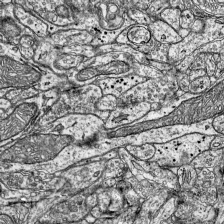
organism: Mouse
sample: Visual Cortex